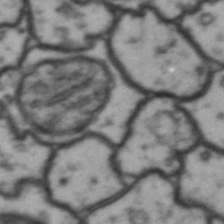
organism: Drosophila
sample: Brain